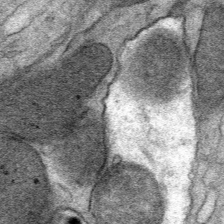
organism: Mouse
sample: Mouse Salivary gland